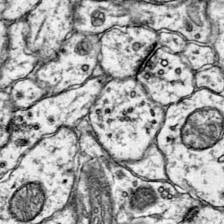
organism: Mouse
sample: Primary visual cortex